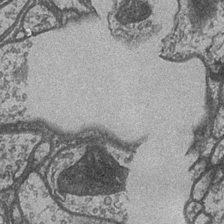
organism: Drosophila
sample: Optic medulla